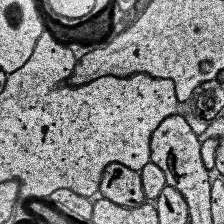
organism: Human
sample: Temporal Lobe